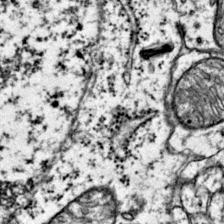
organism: Mouse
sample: Primary visual cortex